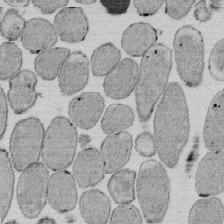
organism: E. coli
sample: Bacterial nucleoid